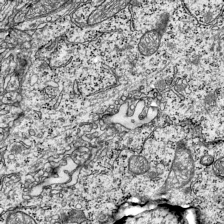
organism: Mouse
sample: Visual Cortex